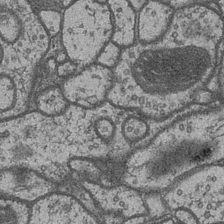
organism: Drosophila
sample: Optic medulla